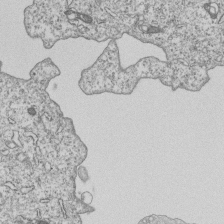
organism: Human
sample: MDA-MB-231 cells